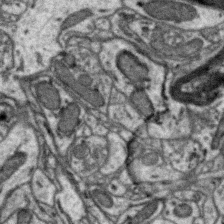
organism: Zebra finch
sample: Brain